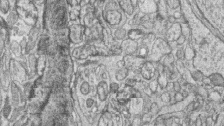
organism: Zebrafish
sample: synaptic ribbons in rod cells and cone cells